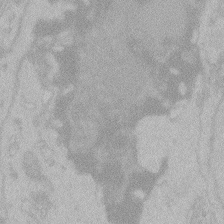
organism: Zebrafish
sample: Macrophage infected with Toxoplasma gondii